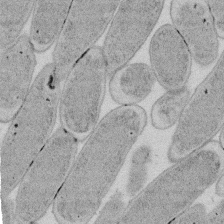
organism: E. coli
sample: Bacterial nucleoid